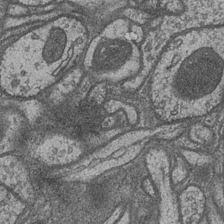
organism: Drosophila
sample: Optic medulla